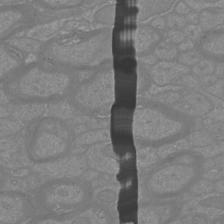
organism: Mouse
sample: Cortical neurons